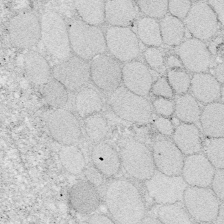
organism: Zebrafish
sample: Whole-Brain